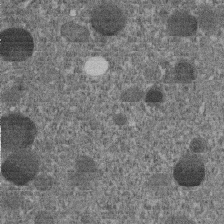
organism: C. elegans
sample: C. elegans embryo early stage